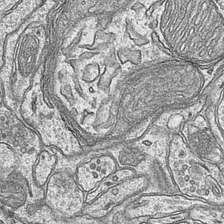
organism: Mouse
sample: CA1 Hippocampus